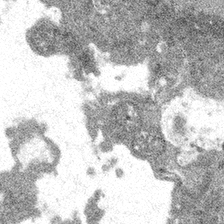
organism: Spongilla lacustris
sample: Multiple